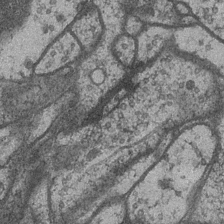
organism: Drosophila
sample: Optic medulla